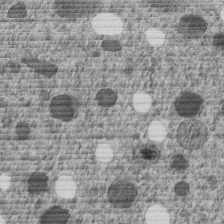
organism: C. elegans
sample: C. elegans embryo early stage